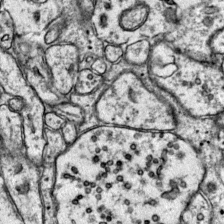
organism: Mouse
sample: Primary visual cortex